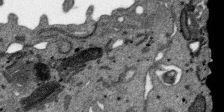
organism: Human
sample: Lung epithelial cells, uninfected (mock) control